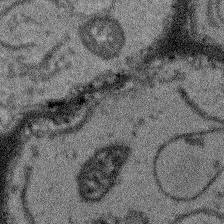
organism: Arabidopsis thaliana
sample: Root tip